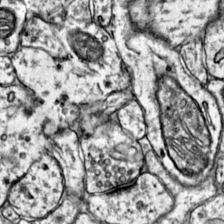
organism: Mouse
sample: Primary visual cortex